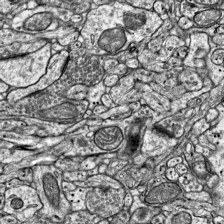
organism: Mouse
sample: Visual Cortex